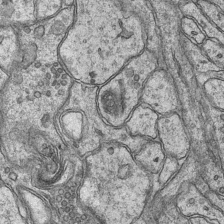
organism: Mouse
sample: CA1 Hippocampus